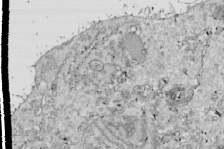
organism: Drosophila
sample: Cell division; meiosis; drosophila spermatocytes